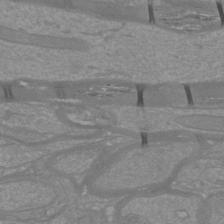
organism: Mouse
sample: Cortical neurons